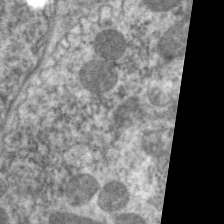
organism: C. elegans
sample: Pharynx